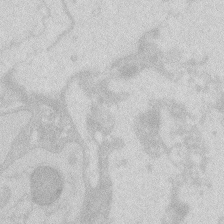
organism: Zebrafish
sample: Macrophage